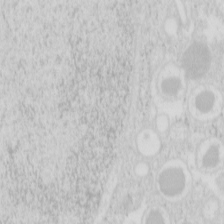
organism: Mouse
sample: Pancreas